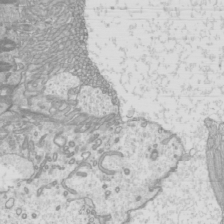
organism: Mouse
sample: Cilia; mouse epididymis